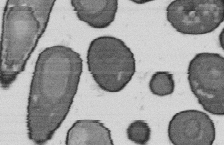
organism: B. subtilis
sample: Bacterial spore